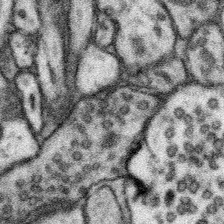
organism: Mouse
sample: Somatosensory cortex neuropil